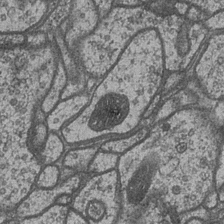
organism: Drosophila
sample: Optic medulla